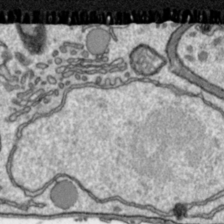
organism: Toxoplasma gondii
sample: Parasites in a vacuole inside a host cell